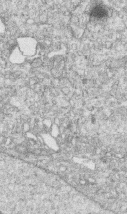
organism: Human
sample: HeLa cell HIV synapse